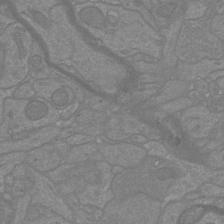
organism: Mouse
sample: Cortical neurons